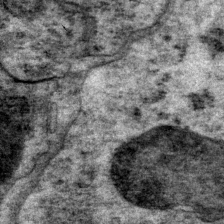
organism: P. pacificus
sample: Pharynx